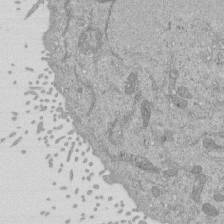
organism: Mouse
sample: ED-1 cell nuclei; centrioles